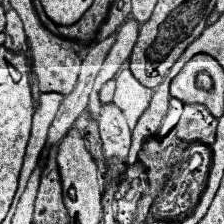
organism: Human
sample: Temporal Lobe